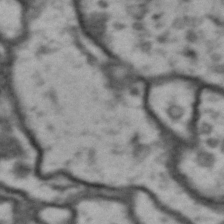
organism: Drosophila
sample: Brain